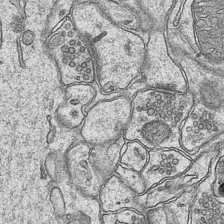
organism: Mouse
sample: CA1 Hippocampus